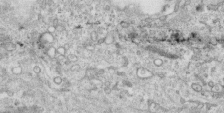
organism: Human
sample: Centriole in RPE cells